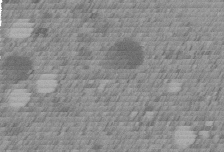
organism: C. elegans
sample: C. elegans embryo early stage